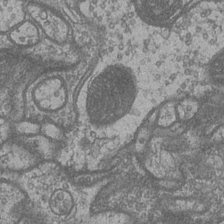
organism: Drosophila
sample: Optic medulla